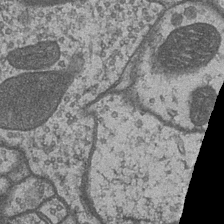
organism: Drosophila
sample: Optic medulla